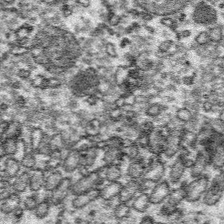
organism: Platynereis dumerilii